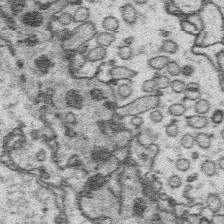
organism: Platynereis dumerilii